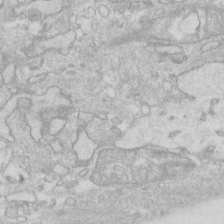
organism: Human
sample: Fibroblast cells